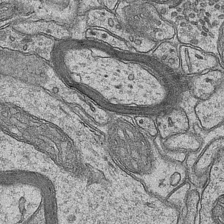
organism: Mouse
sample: CA1 Hippocampus